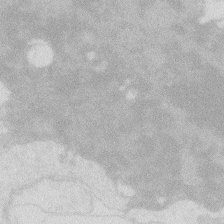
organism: Zebrafish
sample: Macrophage